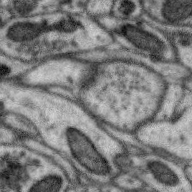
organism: Zebra finch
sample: Brain